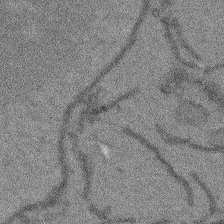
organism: Arabidopsis thaliana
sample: Root tip